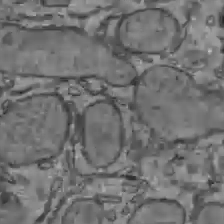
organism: C57BL Mouse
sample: Liver